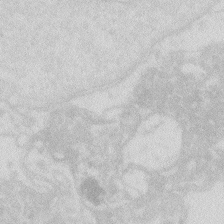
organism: Zebrafish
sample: Macrophage